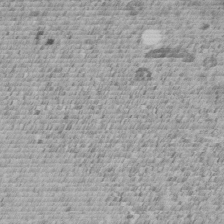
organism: C. elegans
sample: C. elegans embryo early stage